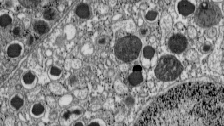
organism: C57BL Mouse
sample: Pancreatic islet